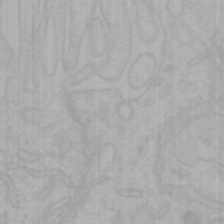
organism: Mouse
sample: Choroid plexus